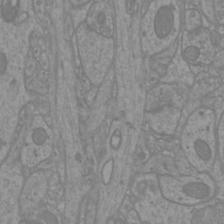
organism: Mouse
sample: Cortical neurons